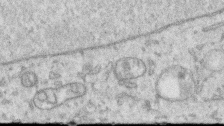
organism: Human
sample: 1205lu cells